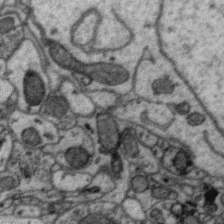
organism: Zebra finch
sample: Brain